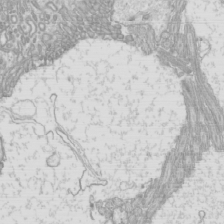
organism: Mouse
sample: Cilia; mouse epididymis